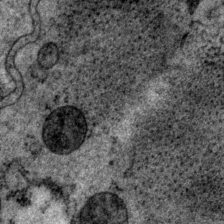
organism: P. pacificus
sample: Pharynx